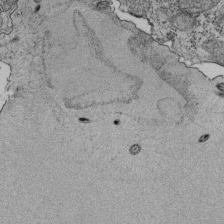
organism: Tetrahymena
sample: Cilia in tetrahymena